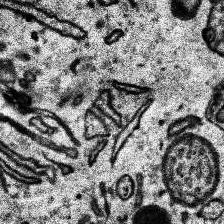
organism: Human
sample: Temporal Lobe